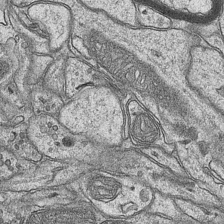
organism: Mouse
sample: CA1 Hippocampus